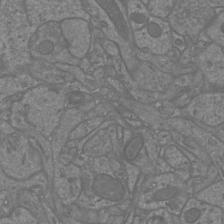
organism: Mouse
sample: Cortical neurons